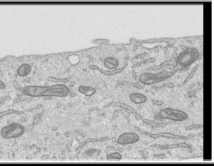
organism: Human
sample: Centriole in RPE cells